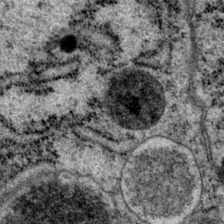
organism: P. pacificus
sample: Pharynx